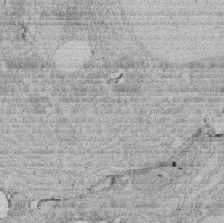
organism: Rat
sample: Salivary granule